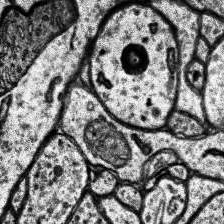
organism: Human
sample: Temporal Lobe